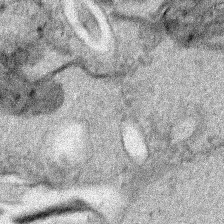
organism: Human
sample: Mitochondria in HCT116 cells